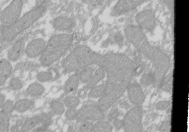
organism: Xenopus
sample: Cilia; centrioles in frog embryo cells